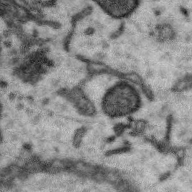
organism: Zebra finch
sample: Brain